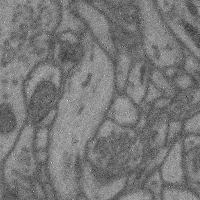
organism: Mouse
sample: Cerebral cortex